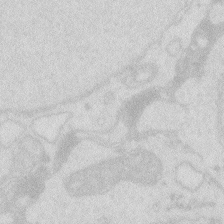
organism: Zebrafish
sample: Macrophage